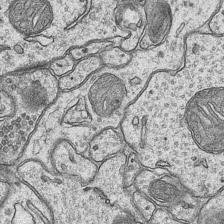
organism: Mouse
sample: CA1 Hippocampus